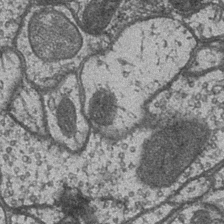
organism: Drosophila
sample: Optic medulla